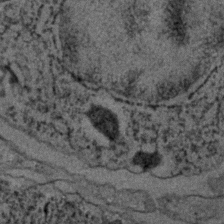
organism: C. elegans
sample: C. elegans embryo